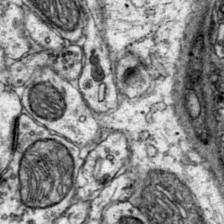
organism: Mouse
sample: Primary visual cortex